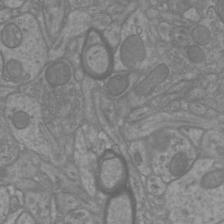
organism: Mouse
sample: Cortical neurons